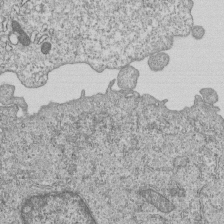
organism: Human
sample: MDA-MB-231 cells